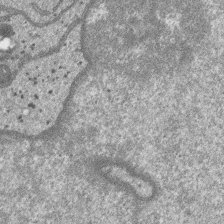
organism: Human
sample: Lung epithelial cells infected with SARS-CoV-2